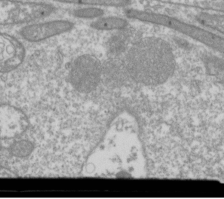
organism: Drosophila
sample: Cell division; meiosis; drosophila spermatocytes